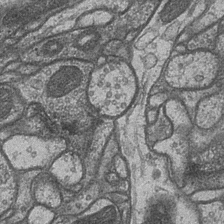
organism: Drosophila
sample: Optic medulla